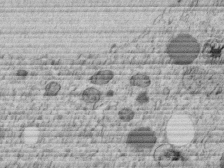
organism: C. elegans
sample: C. elegans embryo early stage